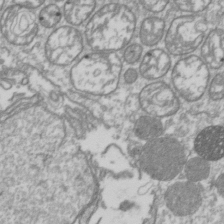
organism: Drosophila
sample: Cell division; meiosis; drosophila spermatocytes